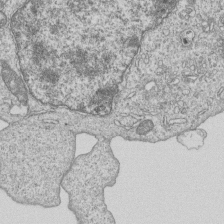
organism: Human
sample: MDA-MB-231 cells